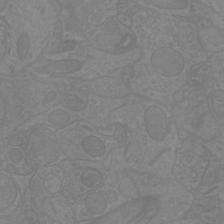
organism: Mouse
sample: Cortical neurons